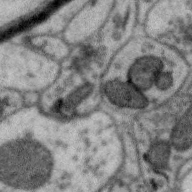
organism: Zebra finch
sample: Brain